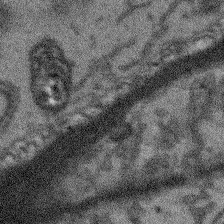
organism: Arabidopsis thaliana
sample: Root tip